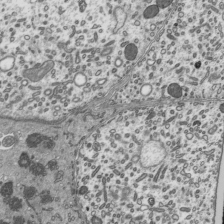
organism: Mouse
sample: Mouse epididymis efferent ductule cilia